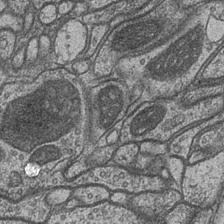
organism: Drosophila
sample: Optic medulla